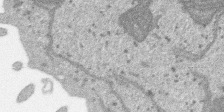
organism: Human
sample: Lung epithelial cells infected with SARS-CoV-2